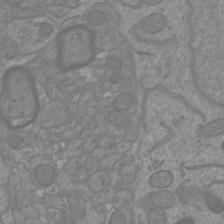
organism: Mouse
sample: Cortical neurons